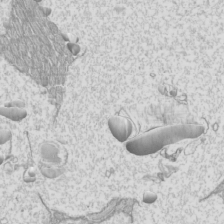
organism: Mouse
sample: Cilia; mouse epididymis